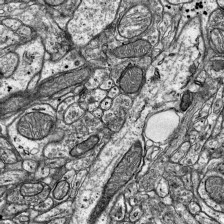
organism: Mouse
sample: Visual Cortex